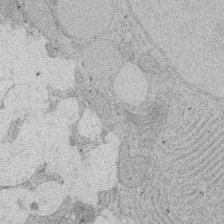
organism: Rat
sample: Salivary granule